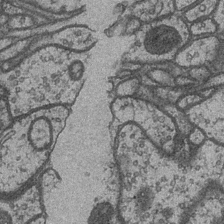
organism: Drosophila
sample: Optic medulla